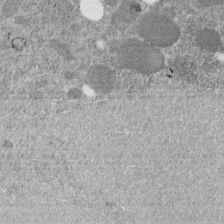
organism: C. elegans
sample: C. elegans embryo early stage